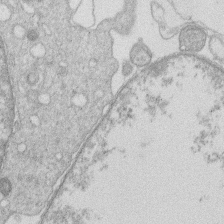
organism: Human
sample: Macrophage cells